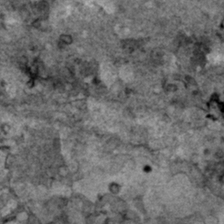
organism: Human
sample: Mitochondria in HCT116 cells